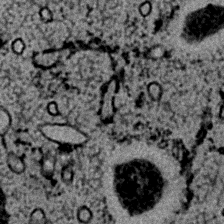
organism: C. elegans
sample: C. elegans embryo